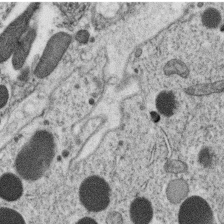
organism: C. elegans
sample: C. elegans oocyte; sperm cells